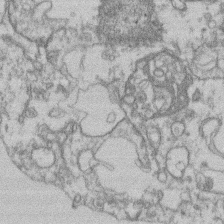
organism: Mouse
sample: T cell stromal cell synapse